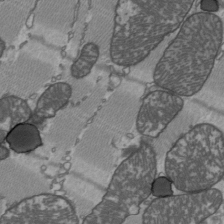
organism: C57BL Mouse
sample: Heart